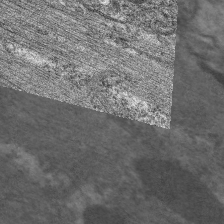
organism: C. elegans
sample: Pharynx